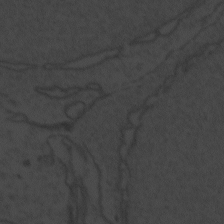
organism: Zebrafish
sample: Macrophage infected with Toxoplasma gondii